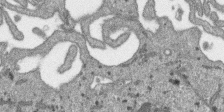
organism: Human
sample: Lung epithelial cells infected with SARS-CoV-2